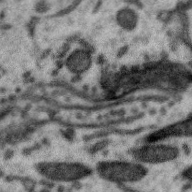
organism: Zebra finch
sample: Brain